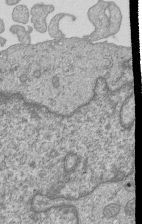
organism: Human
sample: MDA-MB-231 cells